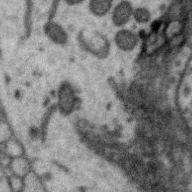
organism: Zebra finch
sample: Brain